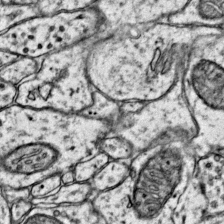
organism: Mouse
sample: Primary visual cortex